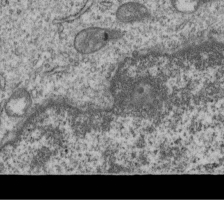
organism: Human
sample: MDA-MB-231 cells